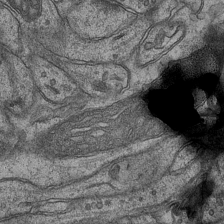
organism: Mouse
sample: CA1 Hippocampus